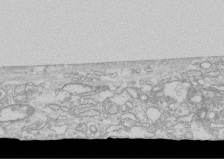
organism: Human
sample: CRL-1474